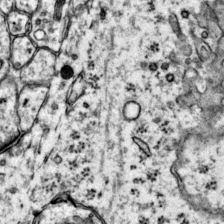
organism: Mouse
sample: Primary visual cortex